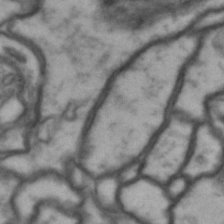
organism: Drosophila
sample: Brain